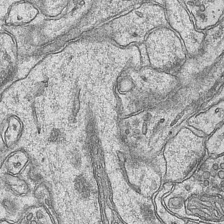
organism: Mouse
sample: CA1 Hippocampus